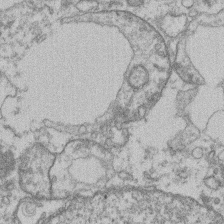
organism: Mouse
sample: T cell stromal cell synapse